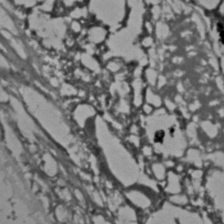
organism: C. elegans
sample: C. elegans embryo